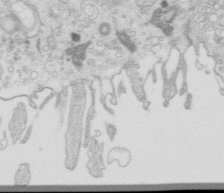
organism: Mouse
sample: Multiciliated cells